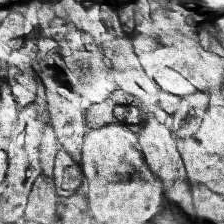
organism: Human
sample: Temporal Lobe